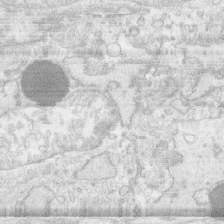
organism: Human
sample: CRL-1474